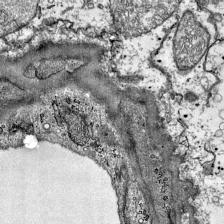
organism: Mouse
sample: Visual Cortex